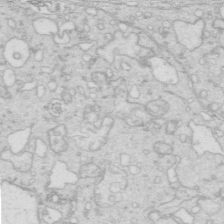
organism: Mouse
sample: Multiciliated cells